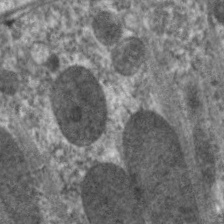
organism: C. elegans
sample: Pharynx